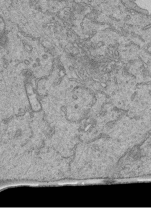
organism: Human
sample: Retinal organoid Rod and Cone cells